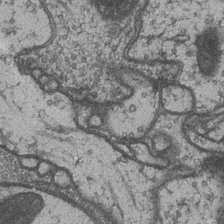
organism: Drosophila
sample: Optic medulla